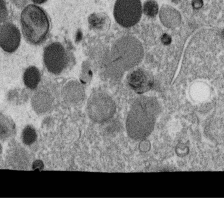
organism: C. elegans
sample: C. elegans oocyte; sperm cells